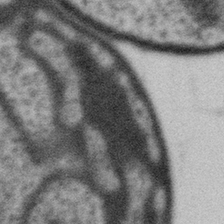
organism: Gemmata obscuriglobus